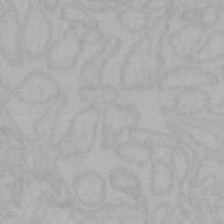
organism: Mouse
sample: Choroid plexus